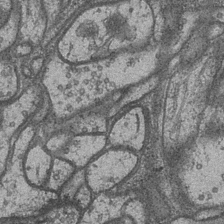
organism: Drosophila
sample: Optic medulla